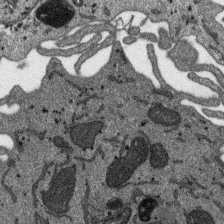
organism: Human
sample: Lung epithelial cells infected with SARS-CoV-2